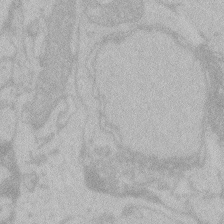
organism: Zebrafish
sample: Macrophage infected with Toxoplasma gondii